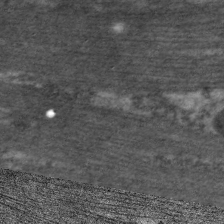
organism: C. elegans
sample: Pharynx